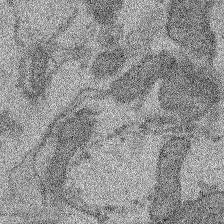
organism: Human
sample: HeLa cells